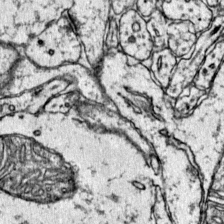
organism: Mouse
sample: Primary visual cortex